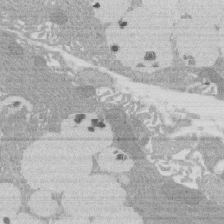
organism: Rat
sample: Salivary granule